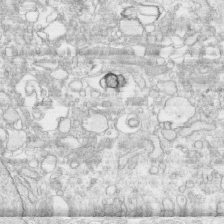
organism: Human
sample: CRL-1474